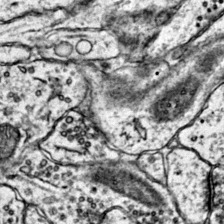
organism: Mouse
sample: Primary visual cortex